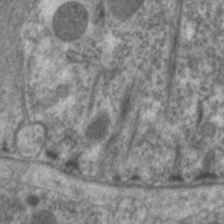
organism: C. elegans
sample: Pharynx